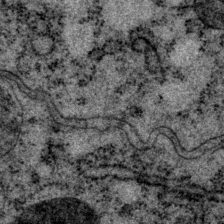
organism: P. pacificus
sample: Pharynx